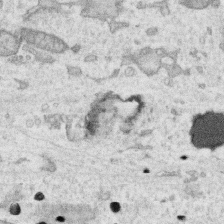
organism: Human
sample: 1205lu cells